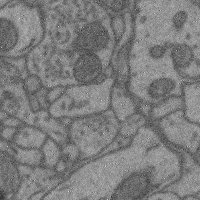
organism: Mouse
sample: Cerebral cortex